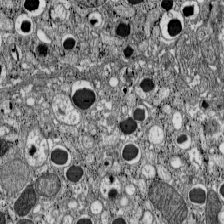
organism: C57BL Mouse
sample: Pancreatic islet